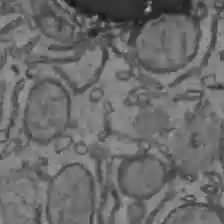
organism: C57BL Mouse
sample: Liver